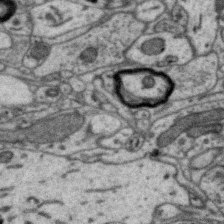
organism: Zebra finch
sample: Brain